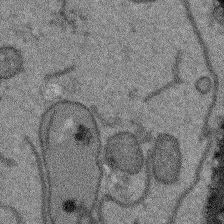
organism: Arabidopsis thaliana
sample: Root tip